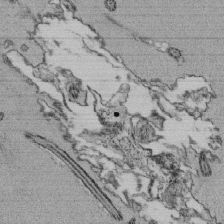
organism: Tetrahymena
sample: Cilia in tetrahymena